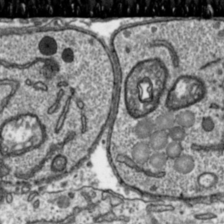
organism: Toxoplasma gondii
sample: Parasites in a vacuole inside a host cell